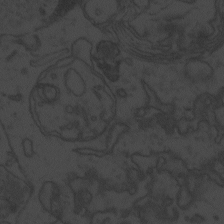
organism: Zebrafish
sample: Macrophage infected with Toxoplasma gondii